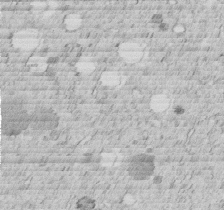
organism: C. elegans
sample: C. elegans embryo early stage